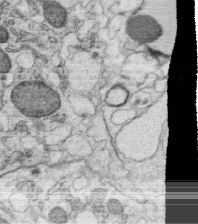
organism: C. elegans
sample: C. elegans oocyte; sperm cells